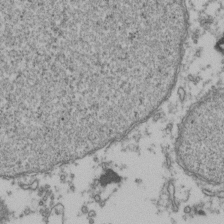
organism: Human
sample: Activated Jurkat CD4+ T cells